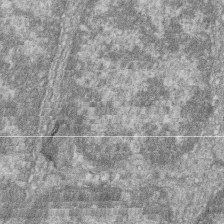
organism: Zebrafish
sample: Cilia; retinal pigment epithelium